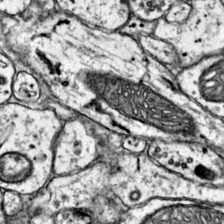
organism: Mouse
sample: Primary visual cortex